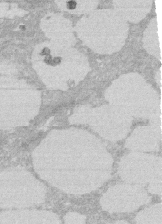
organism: Rat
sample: Salivary granule